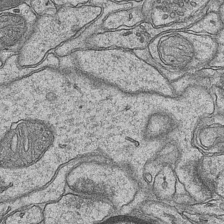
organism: Mouse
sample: CA1 Hippocampus